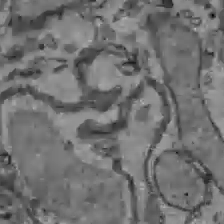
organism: C57BL Mouse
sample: Liver